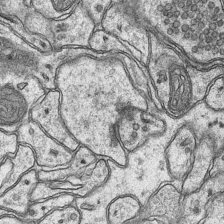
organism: Mouse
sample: CA1 Hippocampus